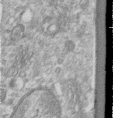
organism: Human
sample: Centriole in RPE cells